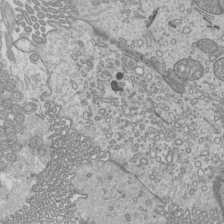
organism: Mouse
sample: Cilia; mouse epididymis